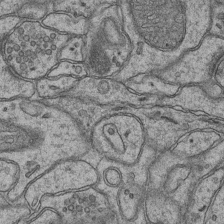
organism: Mouse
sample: CA1 Hippocampus